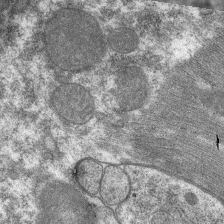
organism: C. elegans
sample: Pharynx